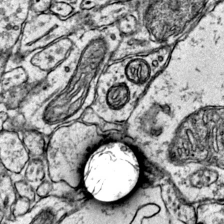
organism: Mouse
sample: Primary visual cortex